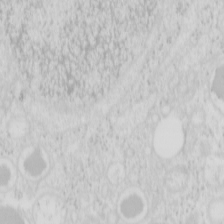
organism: Mouse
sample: Pancreas